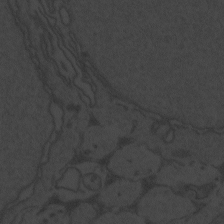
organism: Zebrafish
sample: Macrophage infected with Toxoplasma gondii